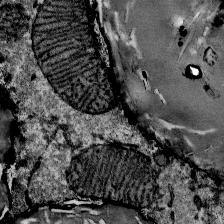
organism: Mouse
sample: Mouse Salivary gland